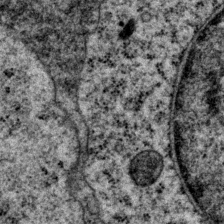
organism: P. pacificus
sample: Pharynx